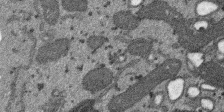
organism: Human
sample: Lung epithelial cells infected with SARS-CoV-2